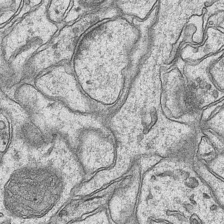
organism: Mouse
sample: CA1 Hippocampus